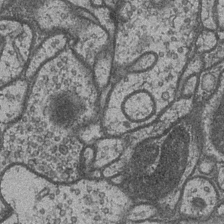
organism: Drosophila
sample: Optic medulla